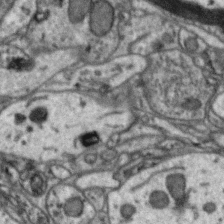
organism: Zebra finch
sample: Brain